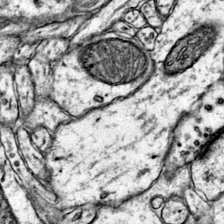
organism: Mouse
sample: Primary visual cortex